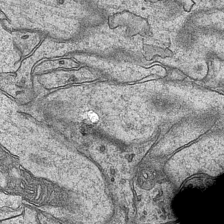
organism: Mouse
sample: CA1 Hippocampus